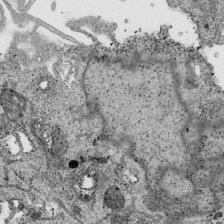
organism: Human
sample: Mitochondria in HCT116 cells